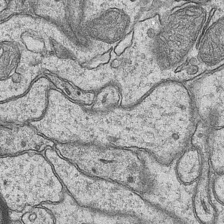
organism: Mouse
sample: CA1 Hippocampus